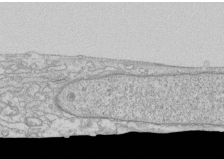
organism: Human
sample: CRL-1474